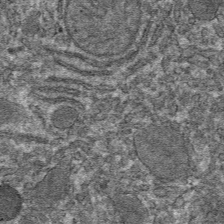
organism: Mouse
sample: Mouse hepatocytes